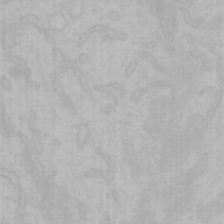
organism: Mouse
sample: Choroid plexus